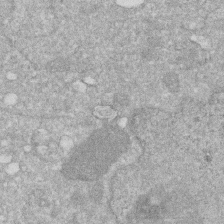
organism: Human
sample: HIV infected U937 cells